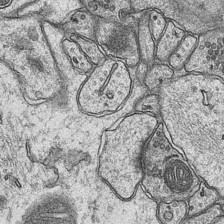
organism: Mouse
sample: CA1 Hippocampus